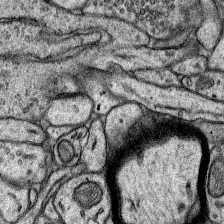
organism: Rat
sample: Hippocampus